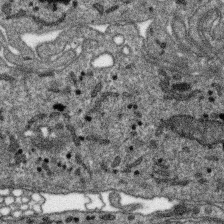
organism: Human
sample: Lung epithelial cells infected with SARS-CoV-2